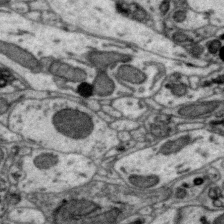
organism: Zebra finch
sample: Brain